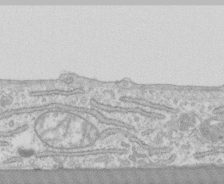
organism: Human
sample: CRL-1474